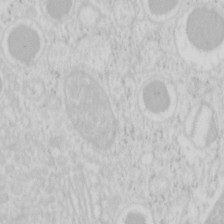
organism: Mouse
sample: Pancreas